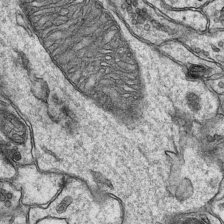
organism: Mouse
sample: CA1 Hippocampus